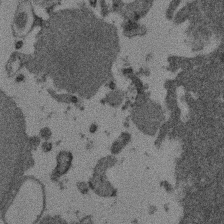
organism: Mouse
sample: Dividing mouse embryo 1 cell stage